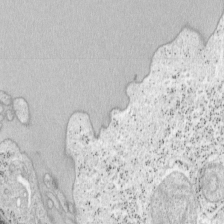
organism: Mouse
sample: OT-I killer T cells with ID8 ovarian cancer cells